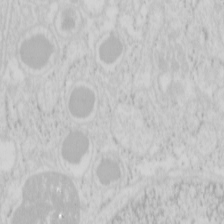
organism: Mouse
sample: Pancreas